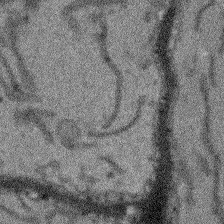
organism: Arabidopsis thaliana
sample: Root tip